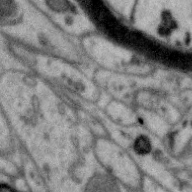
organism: Zebra finch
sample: Brain